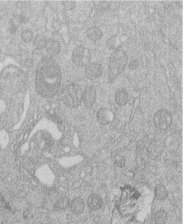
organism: Human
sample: Macrophage cells